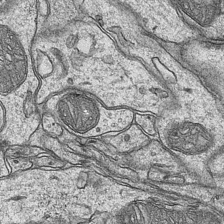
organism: Mouse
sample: CA1 Hippocampus